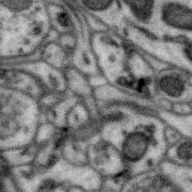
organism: Zebra finch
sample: Brain